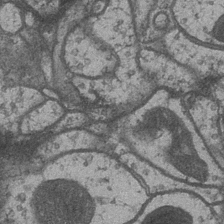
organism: Drosophila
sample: Optic medulla